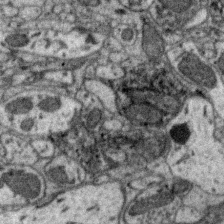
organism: Zebra finch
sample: Brain